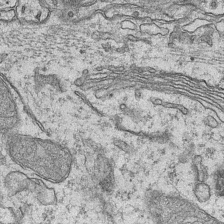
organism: Mouse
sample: CA1 Hippocampus